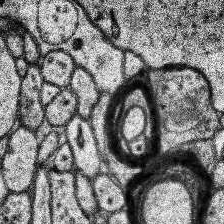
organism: Human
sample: Temporal Lobe